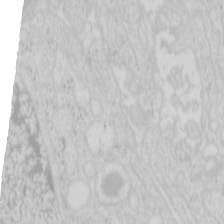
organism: Mouse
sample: Pancreas